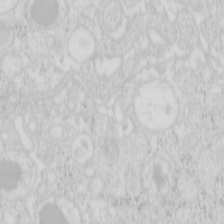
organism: Mouse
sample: Pancreas